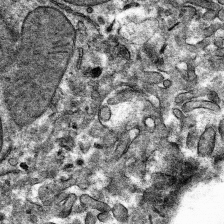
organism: Mouse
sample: Mouse hepatocytes